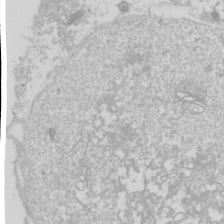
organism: Drosophila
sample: Cell division; meiosis; drosophila spermatocytes